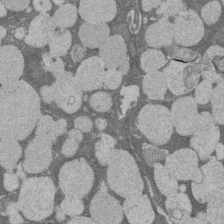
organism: Rat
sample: Salivary granule